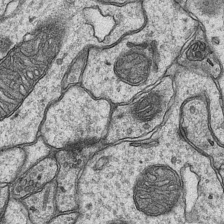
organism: Mouse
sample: CA1 Hippocampus